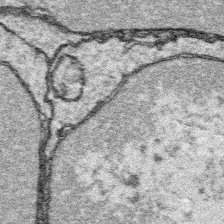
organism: Platynereis dumerilii